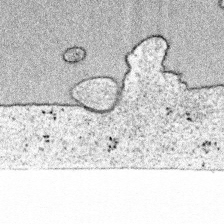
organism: Human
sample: HeLa cells